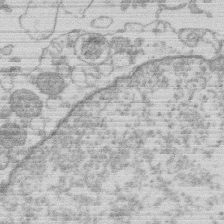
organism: Human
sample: Macrophage cells